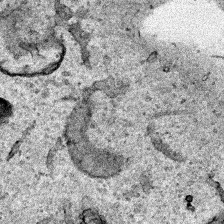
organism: Human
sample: Mitochondria in HCT116 cells